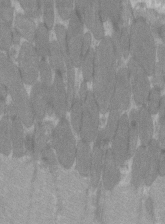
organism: C57BL Mouse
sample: Tibialis anterior muscle cell